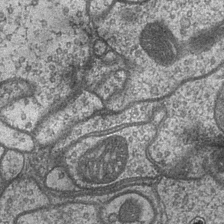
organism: Drosophila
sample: Optic medulla